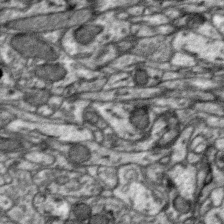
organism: Zebra finch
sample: Brain